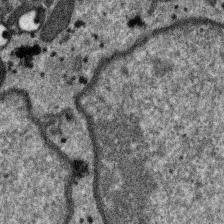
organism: Human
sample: Lung epithelial cells infected with SARS-CoV-2